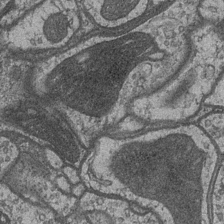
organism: Drosophila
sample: Optic medulla